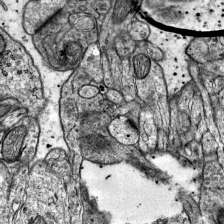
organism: Mouse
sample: Visual Cortex